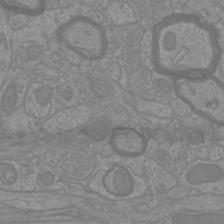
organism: Mouse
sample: Cortical neurons